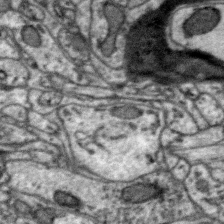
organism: Zebra finch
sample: Brain